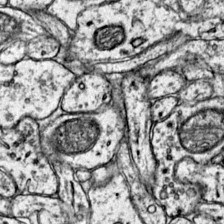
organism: Mouse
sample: Primary visual cortex